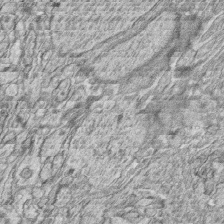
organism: Zebrafish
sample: synaptic ribbons in rod cells and cone cells